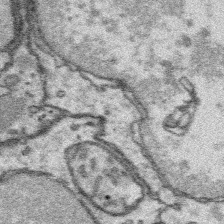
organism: Platynereis dumerilii